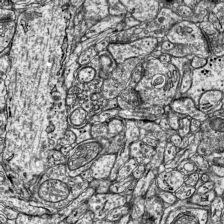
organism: Mouse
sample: Visual Cortex